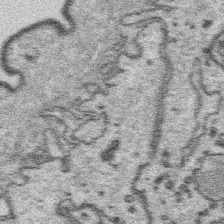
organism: Platynereis dumerilii